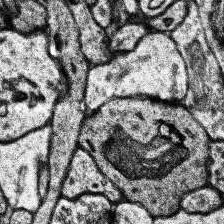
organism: Human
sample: Temporal Lobe